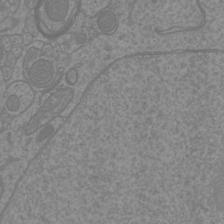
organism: Mouse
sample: Cortical neurons